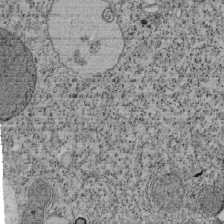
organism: Tetrahymena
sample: Cilia in tetrahymena